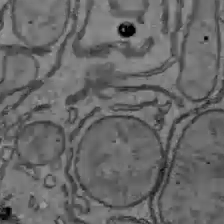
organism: C57BL Mouse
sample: Liver